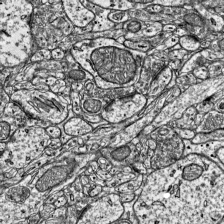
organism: Mouse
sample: Visual Cortex